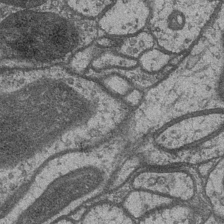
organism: Drosophila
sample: Optic medulla